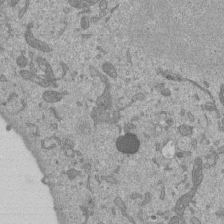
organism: Mouse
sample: ED-1 cell nuclei; centrioles